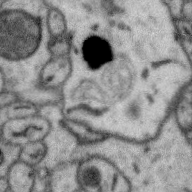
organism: Zebra finch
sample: Brain